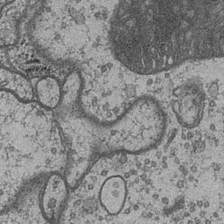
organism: Drosophila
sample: Optic medulla